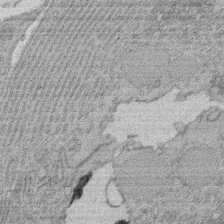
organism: Rat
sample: Salivary granule